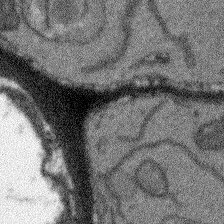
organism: Arabidopsis thaliana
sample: Root tip